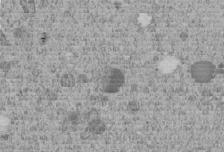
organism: C. elegans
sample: C. elegans embryo early stage